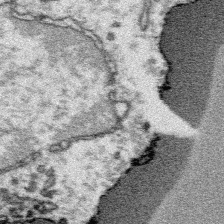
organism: Platynereis dumerilii